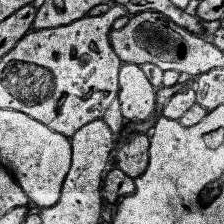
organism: Human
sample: Temporal Lobe